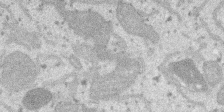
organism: Human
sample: Lung epithelial cells infected with SARS-CoV-2